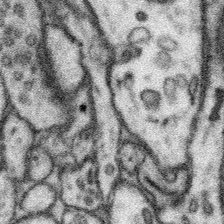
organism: Mouse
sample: Somatosensory cortex neuropil